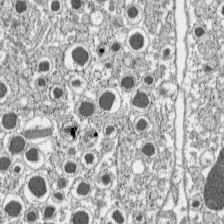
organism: C57BL Mouse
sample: Pancreatic islet